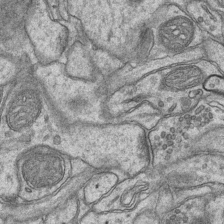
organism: Mouse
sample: CA1 Hippocampus